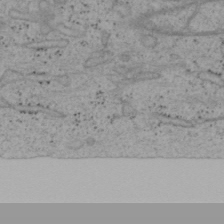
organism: Human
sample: HeLa cells